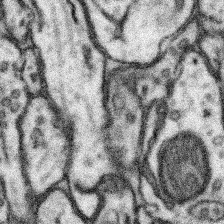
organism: Mouse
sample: Somatosensory cortex neuropil